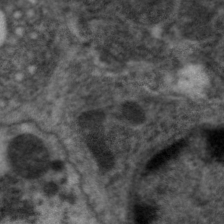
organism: C. elegans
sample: Pharynx